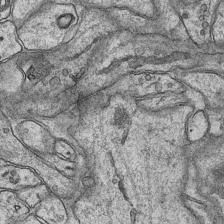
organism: Mouse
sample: CA1 Hippocampus